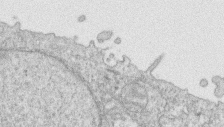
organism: Human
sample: HeLa cell HIV synapse